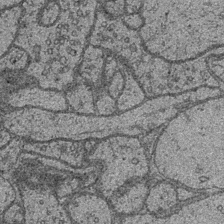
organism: Drosophila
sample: Optic medulla